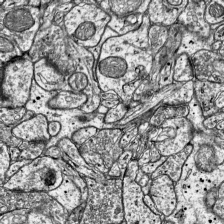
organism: Mouse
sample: Visual Cortex